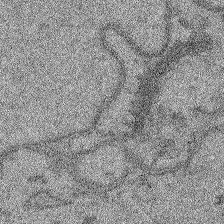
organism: Human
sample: HeLa cells